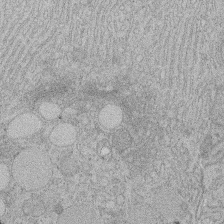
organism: Rat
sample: Salivary granule